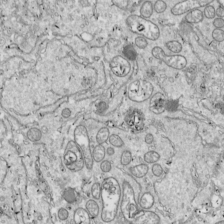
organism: Drosophila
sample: Cell division; meiosis; drosophila spermatocytes